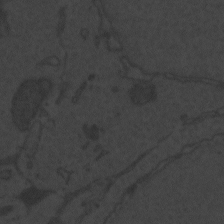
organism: Zebrafish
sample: Macrophage infected with Toxoplasma gondii